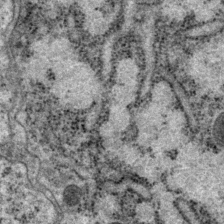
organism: P. pacificus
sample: Pharynx